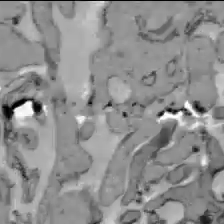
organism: C57BL Mouse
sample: Liver